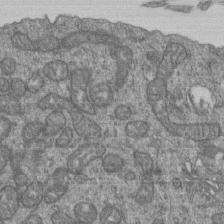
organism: Human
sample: Retinal organoid Rod and Cone cells